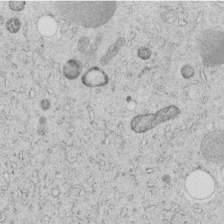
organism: C. elegans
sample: C. elegans embryo early stage